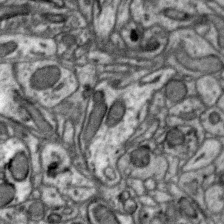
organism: Zebra finch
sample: Brain